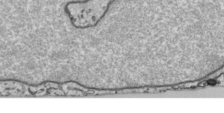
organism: Human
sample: Mitochondria in HCT116 cells